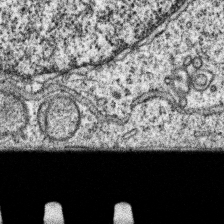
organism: Human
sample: HeLa cells